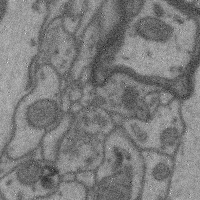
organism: Mouse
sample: Cerebral cortex